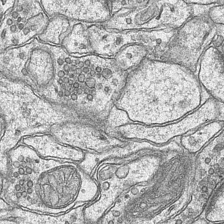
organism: Mouse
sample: CA1 Hippocampus